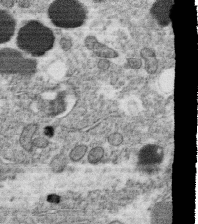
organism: C. elegans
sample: C. elegans oocyte; sperm cells